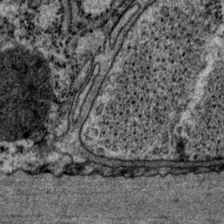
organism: P. pacificus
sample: Pharynx